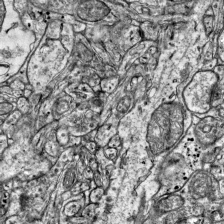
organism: Mouse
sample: Visual Cortex